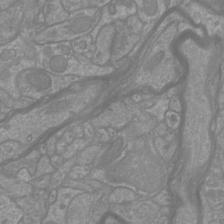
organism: Mouse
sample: Cortical neurons